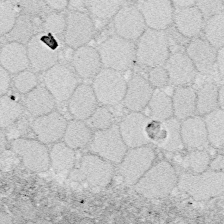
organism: Zebrafish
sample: Whole-Brain